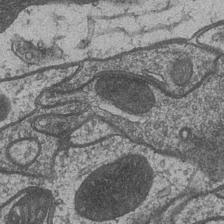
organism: Drosophila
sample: Optic medulla